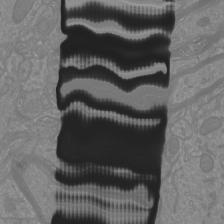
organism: Mouse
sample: Cortical neurons